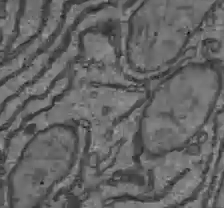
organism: C57BL Mouse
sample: Liver